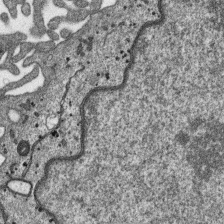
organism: Human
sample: Lung epithelial cells infected with SARS-CoV-2